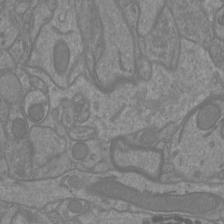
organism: Mouse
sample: Cortical neurons